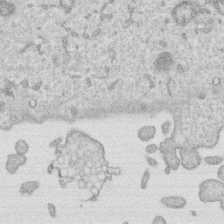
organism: Human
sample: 1205lu cells